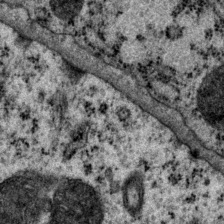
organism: P. pacificus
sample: Pharynx